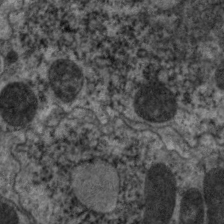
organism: C. elegans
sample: Pharynx